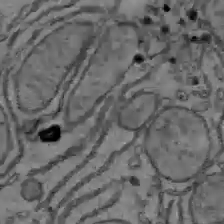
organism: C57BL Mouse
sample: Liver